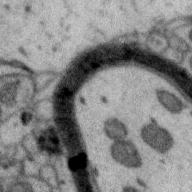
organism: Zebra finch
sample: Brain